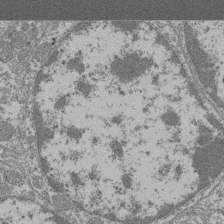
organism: Mouse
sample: Glomerulus